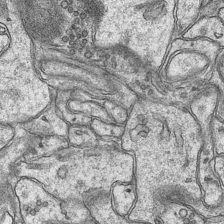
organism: Mouse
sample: CA1 Hippocampus